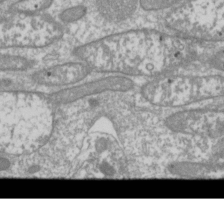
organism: Drosophila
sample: Cell division; meiosis; drosophila spermatocytes